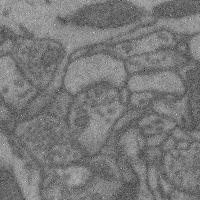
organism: Mouse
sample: Cerebral cortex